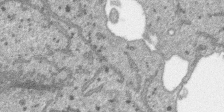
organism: Human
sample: Lung epithelial cells infected with SARS-CoV-2